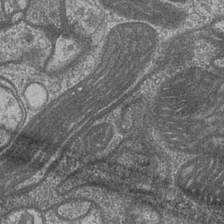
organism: Drosophila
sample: Optic medulla